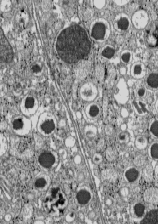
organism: C57BL Mouse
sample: Pancreatic islet